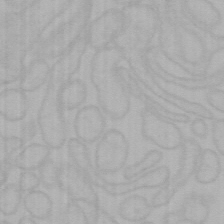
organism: Mouse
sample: Choroid plexus